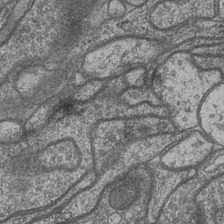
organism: Drosophila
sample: Optic medulla